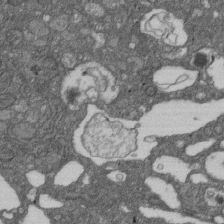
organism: Drosophila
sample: Nephrocyte